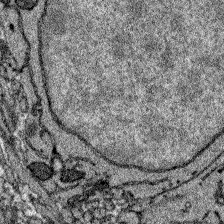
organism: Zebrafish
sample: Larval olfactory bulb